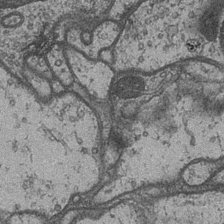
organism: Drosophila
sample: Optic medulla